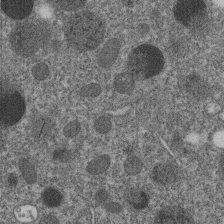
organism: C. elegans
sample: C. elegans embryo early stage